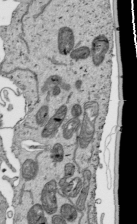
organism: Human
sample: Mitochondria in HCT116 cells